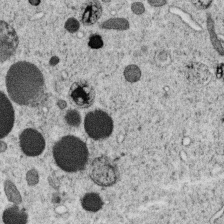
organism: C. elegans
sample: C. elegans oocyte; sperm cells